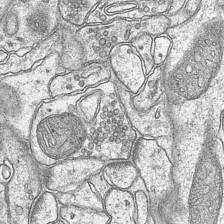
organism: Mouse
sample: CA1 Hippocampus